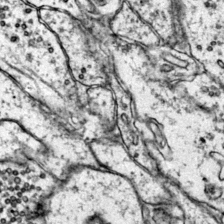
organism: Mouse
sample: Primary visual cortex